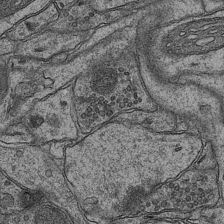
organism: Mouse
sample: CA1 Hippocampus